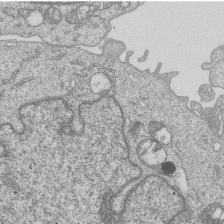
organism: Human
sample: MDA-MB-231 cells